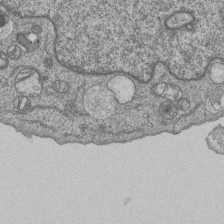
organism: Human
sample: MDA-MB-231 cells